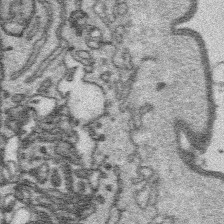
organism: Platynereis dumerilii